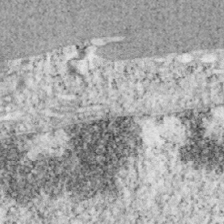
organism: Mouse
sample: OT-I killer T cells with ID8 ovarian cancer cells